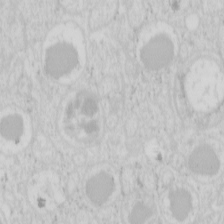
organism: Mouse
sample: Pancreas